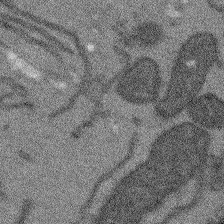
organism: Arabidopsis thaliana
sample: Root tip